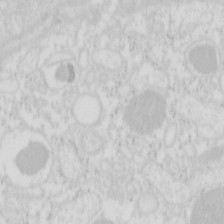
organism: Mouse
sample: Pancreas